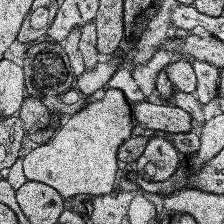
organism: Human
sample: Temporal Lobe